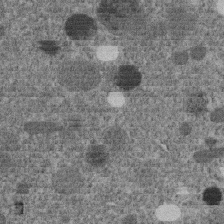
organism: C. elegans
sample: C. elegans embryo early stage